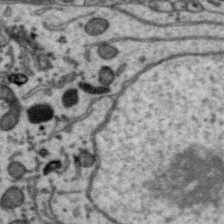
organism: Zebra finch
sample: Brain